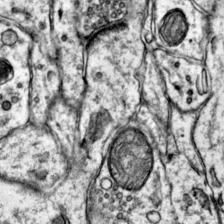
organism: Mouse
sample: Primary visual cortex